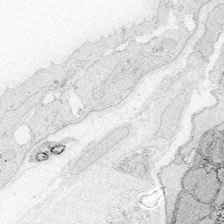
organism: Zebrafish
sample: Whole-Brain